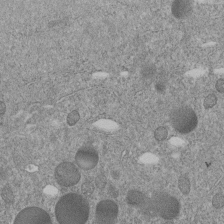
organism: C. elegans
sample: C. elegans embryo early stage